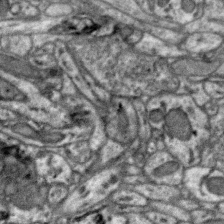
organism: Zebra finch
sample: Brain